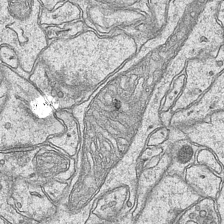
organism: Mouse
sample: CA1 Hippocampus